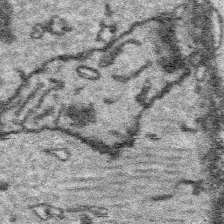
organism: Platynereis dumerilii